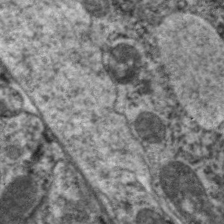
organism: C. elegans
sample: Pharynx